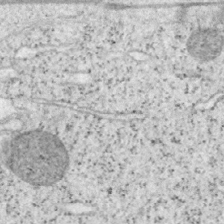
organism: Mouse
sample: OT-I killer T cells with ID8 ovarian cancer cells